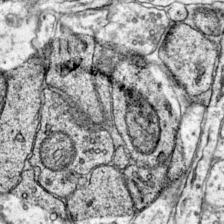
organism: Mouse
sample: Primary visual cortex